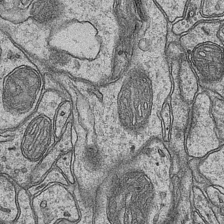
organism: Mouse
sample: CA1 Hippocampus